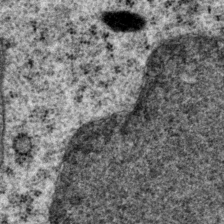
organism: P. pacificus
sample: Pharynx